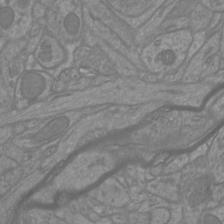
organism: Mouse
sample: Cortical neurons